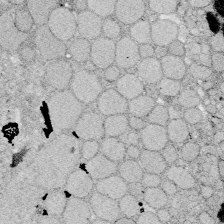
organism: Zebrafish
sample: Whole-Brain